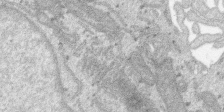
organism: Human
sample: Lung epithelial cells infected with SARS-CoV-2